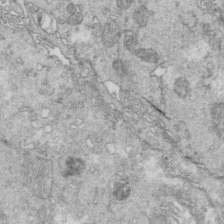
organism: Mouse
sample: Multiciliated cells